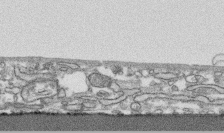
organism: Human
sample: CRL-1474